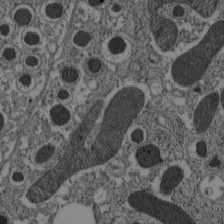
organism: C57BL Mouse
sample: Pancreatic islet